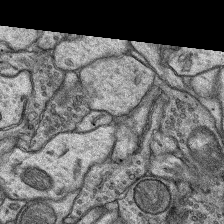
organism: Rat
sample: Hippocampus